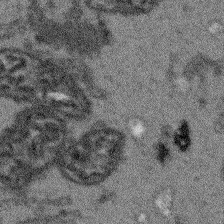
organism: Arabidopsis thaliana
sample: Root tip